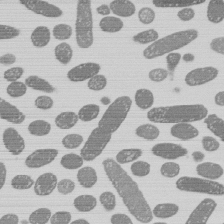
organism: E. coli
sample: Bacterial nucleoid